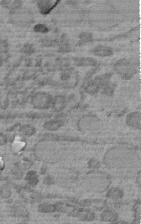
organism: C. elegans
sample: C. elegans embryo early stage